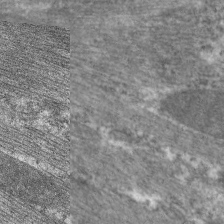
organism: C. elegans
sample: Pharynx